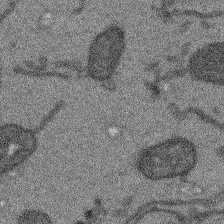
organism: Arabidopsis thaliana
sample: Root tip